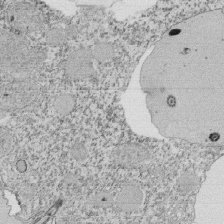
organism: Tetrahymena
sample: Cilia in tetrahymena